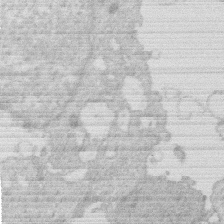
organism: Human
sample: Macrophage cells